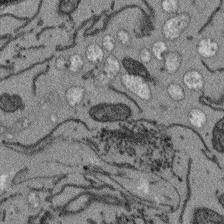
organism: Arabidopsis thaliana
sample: Root tip